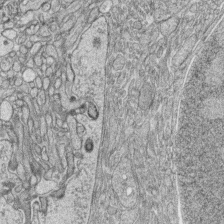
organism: Zebrafish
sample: synaptic ribbons in rod cells and cone cells